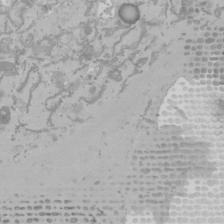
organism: Mouse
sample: Cancer cell death in ED-1 cells